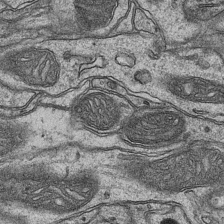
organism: Mouse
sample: CA1 Hippocampus